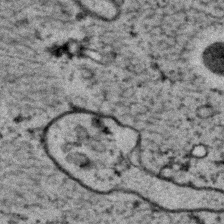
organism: C. elegans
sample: C. elegans embryo